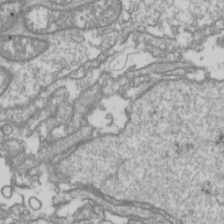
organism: Drosophila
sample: Cell division; meiosis; drosophila spermatocytes